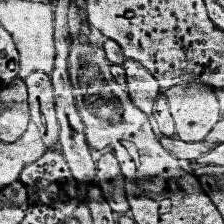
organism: Human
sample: Temporal Lobe